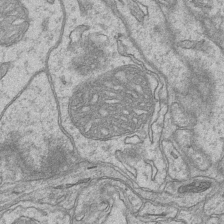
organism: Mouse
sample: CA1 Hippocampus